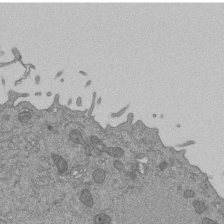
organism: Mouse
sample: ED-1 cell nuclei; centrioles